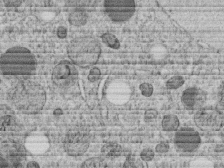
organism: C. elegans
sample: C. elegans embryo early stage